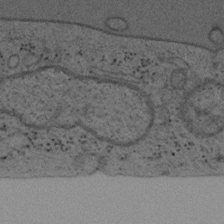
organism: Human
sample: HeLa cells